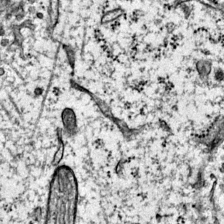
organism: Mouse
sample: Primary visual cortex